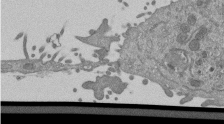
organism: Mouse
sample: ED-1 cell nuclei; centrioles